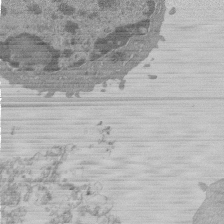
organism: Mouse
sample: Activated Pmel transgenic CD8+ T Cells